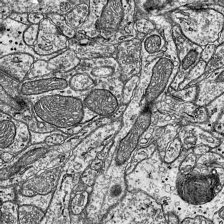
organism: Mouse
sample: Visual Cortex